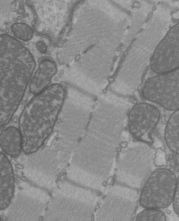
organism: C57BL Mouse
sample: Heart